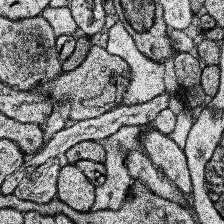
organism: Human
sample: Temporal Lobe